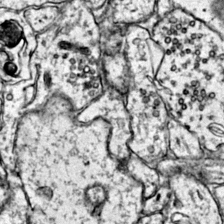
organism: Mouse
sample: Primary visual cortex